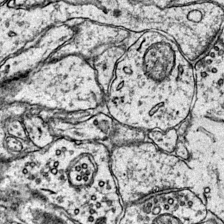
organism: Mouse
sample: Primary visual cortex